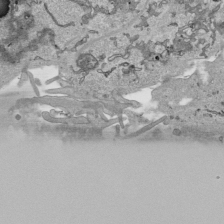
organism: Human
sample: Mitochondria in HCT116 cells